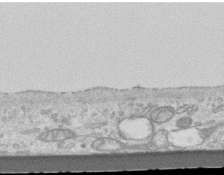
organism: Mouse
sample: Centriole in ependymal cells